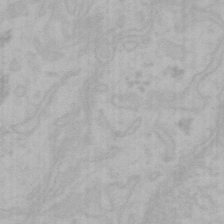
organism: Mouse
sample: Choroid plexus